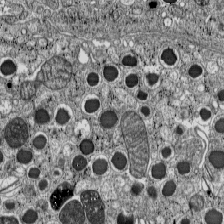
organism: C57BL Mouse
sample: Pancreatic islet